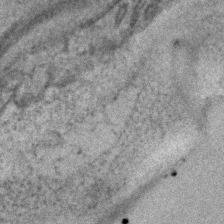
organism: C. elegans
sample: C. elegans embryo